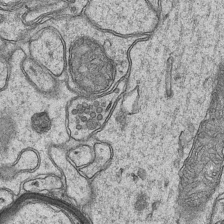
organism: Mouse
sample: CA1 Hippocampus